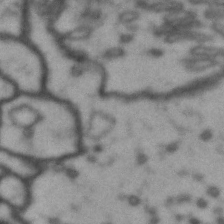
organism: Drosophila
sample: Brain